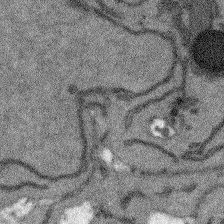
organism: Arabidopsis thaliana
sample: Root tip